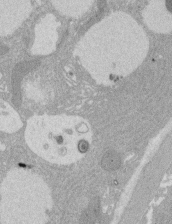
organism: Rat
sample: Salivary granule